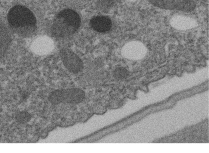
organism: C. elegans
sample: C. elegans embryo early stage